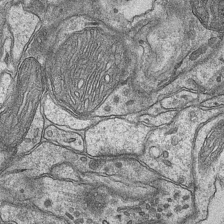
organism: Mouse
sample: CA1 Hippocampus